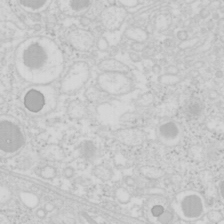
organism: Mouse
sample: Pancreas